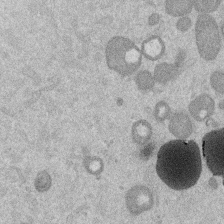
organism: Mouse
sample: Dividing mouse embryo 1 cell stage